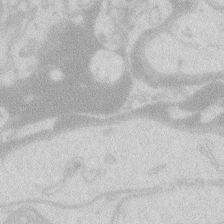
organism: Zebrafish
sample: Macrophage